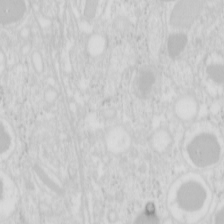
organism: Mouse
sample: Pancreas